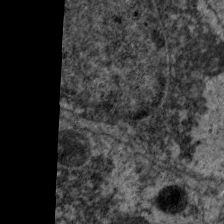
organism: C. elegans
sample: Pharynx